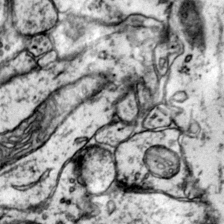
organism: Mouse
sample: Primary visual cortex